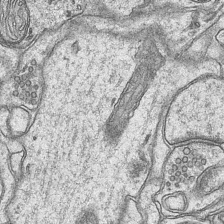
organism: Mouse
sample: CA1 Hippocampus